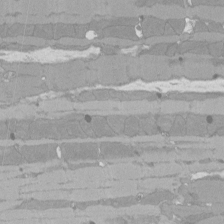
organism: Rat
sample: Left ventricle